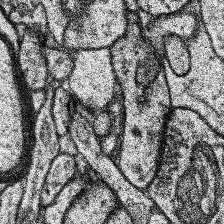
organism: Human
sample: Temporal Lobe